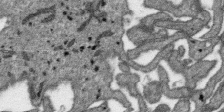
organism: Human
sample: Lung epithelial cells, uninfected (mock) control